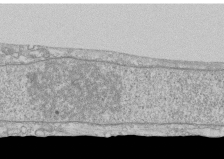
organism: Human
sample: CRL-1474